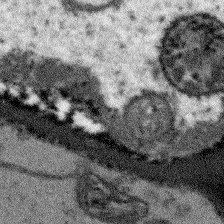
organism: Arabidopsis thaliana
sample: Root tip